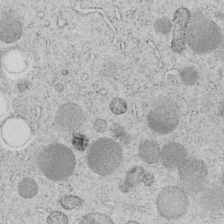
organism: C. elegans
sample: C. elegans embryo early stage